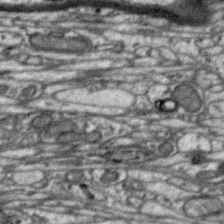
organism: Zebra finch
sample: Brain